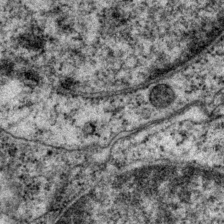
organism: P. pacificus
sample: Pharynx